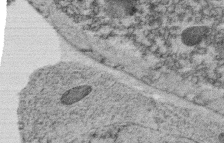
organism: C. elegans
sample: C. elegans oocyte; sperm cells